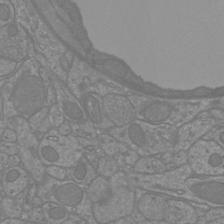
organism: Mouse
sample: Cortical neurons